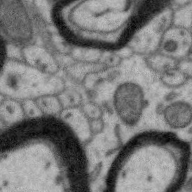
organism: Zebra finch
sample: Brain